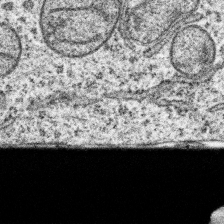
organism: Human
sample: HeLa cells